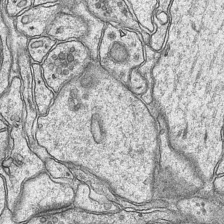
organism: Mouse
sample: CA1 Hippocampus